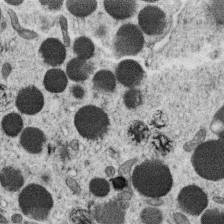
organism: C. elegans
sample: C. elegans oocyte; sperm cells